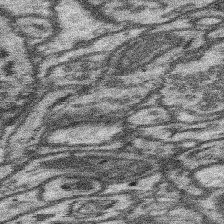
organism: Mouse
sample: Somatosensory cortex neuropil